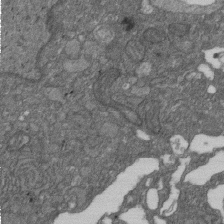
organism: Drosophila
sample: Nephrocyte